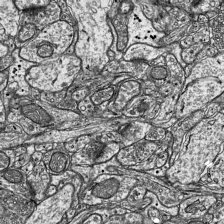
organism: Mouse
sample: Visual Cortex